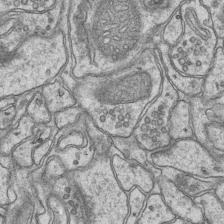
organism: Mouse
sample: CA1 Hippocampus